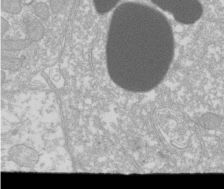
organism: Xenopus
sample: Cilia; centrioles in frog embryo cells